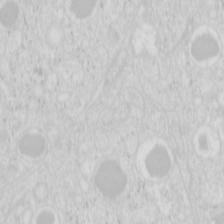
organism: Mouse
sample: Pancreas